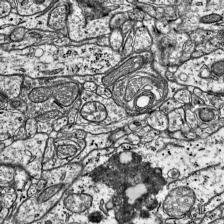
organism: Mouse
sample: Visual Cortex